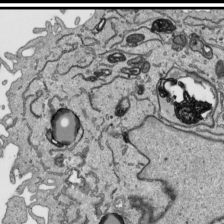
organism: Human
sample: Mitochondria in HCT116 cells